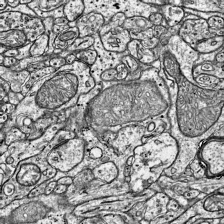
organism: Mouse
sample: Visual Cortex